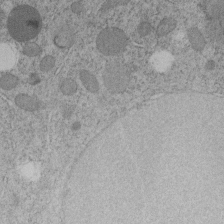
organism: C. elegans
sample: C. elegans embryo early stage